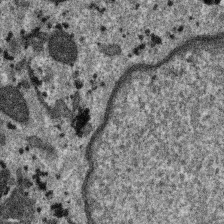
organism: Human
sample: Lung epithelial cells infected with SARS-CoV-2